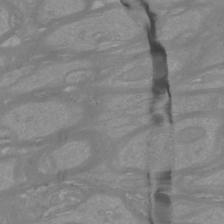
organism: Mouse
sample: Cortical neurons